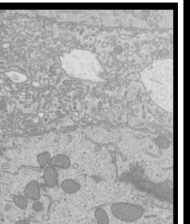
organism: Mouse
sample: Cilia; mouse epididymis